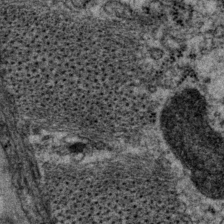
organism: P. pacificus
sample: Pharynx